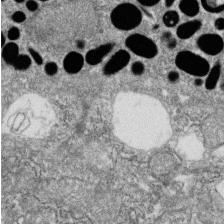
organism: Zebrafish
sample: Cilia; retinal pigment epithelium